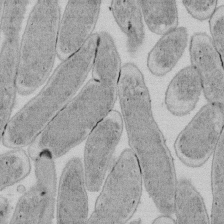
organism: E. coli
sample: Bacterial nucleoid